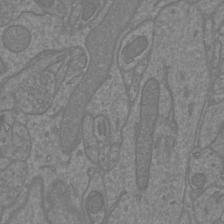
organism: Mouse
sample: Cortical neurons